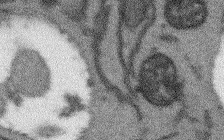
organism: Arabidopsis thaliana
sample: Root tip